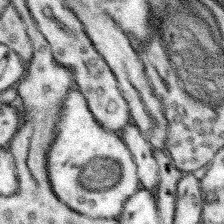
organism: Mouse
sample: Somatosensory cortex neuropil